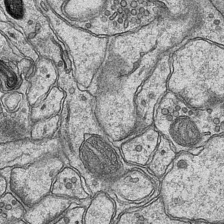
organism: Mouse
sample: CA1 Hippocampus